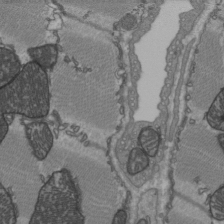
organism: C57BL Mouse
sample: Heart